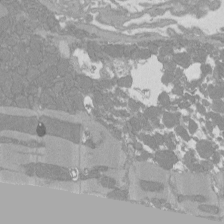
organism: Rat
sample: Left ventricle